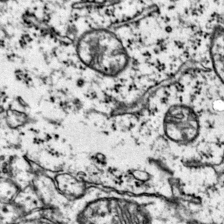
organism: Mouse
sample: Primary visual cortex